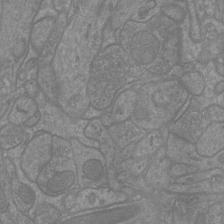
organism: Mouse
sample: Cortical neurons